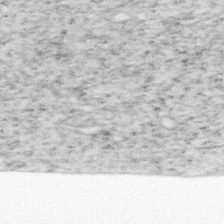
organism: Mouse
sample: OT-I killer T cells with ID8 ovarian cancer cells